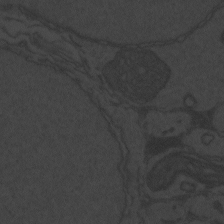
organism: Zebrafish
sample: Macrophage infected with Toxoplasma gondii